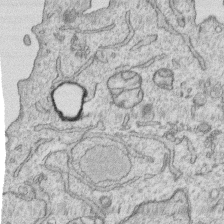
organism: Human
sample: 1205lu cells